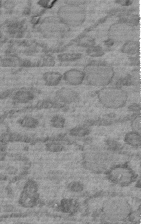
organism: C. elegans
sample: C. elegans embryo early stage